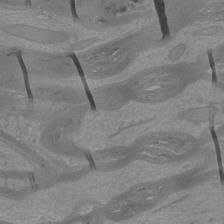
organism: Mouse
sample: Cortical neurons